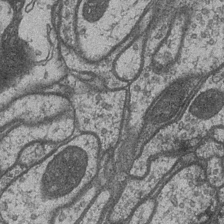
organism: Drosophila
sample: Optic medulla